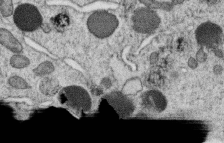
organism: C. elegans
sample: C. elegans oocyte; sperm cells